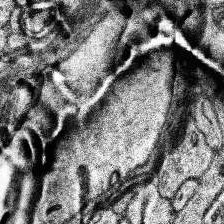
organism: Human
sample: Temporal Lobe